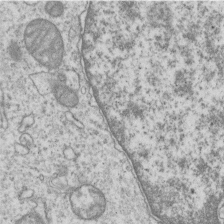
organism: Human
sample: MDA-MB-231 cells